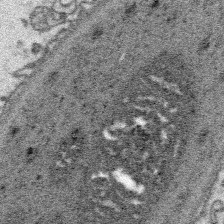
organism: Platynereis dumerilii